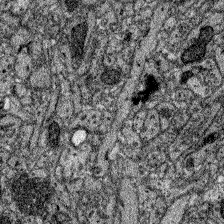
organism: Zebrafish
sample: Larval olfactory bulb